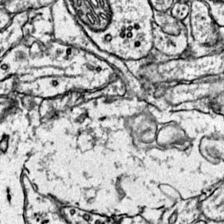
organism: Mouse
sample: Primary visual cortex